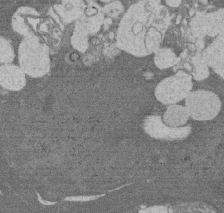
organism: Rat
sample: Salivary granule